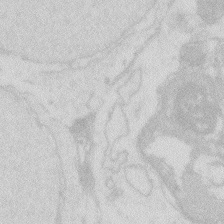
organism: Zebrafish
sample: Macrophage